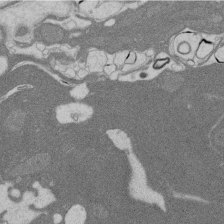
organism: Rat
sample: Salivary granule